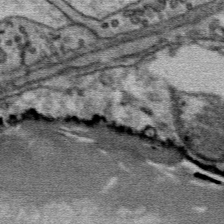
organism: Mouse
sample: Mouse Salivary gland